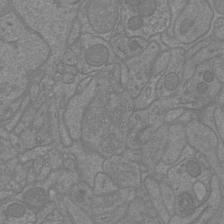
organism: Mouse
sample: Cortical neurons